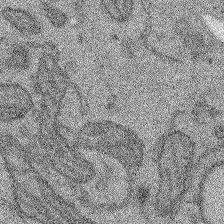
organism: Human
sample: HeLa cells